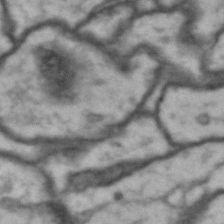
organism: Drosophila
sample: Brain